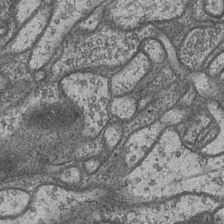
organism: Drosophila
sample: Optic medulla